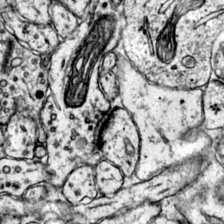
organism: Mouse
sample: Primary visual cortex